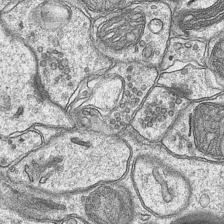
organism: Mouse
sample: CA1 Hippocampus